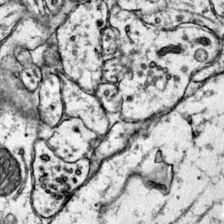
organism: Mouse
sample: Primary visual cortex